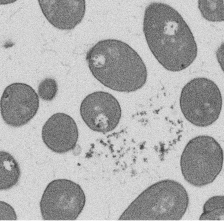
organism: B. subtilis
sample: Bacterial spore